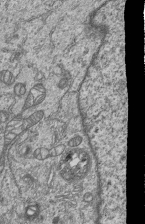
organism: Human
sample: MDA-MB-231 cells